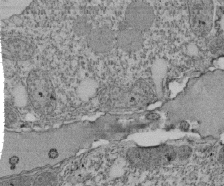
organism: Tetrahymena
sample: Cilia in tetrahymena